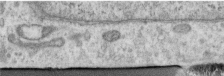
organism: Human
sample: Centriole in RPE cells